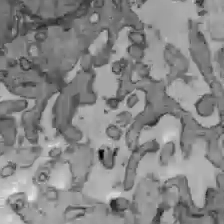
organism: C57BL Mouse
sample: Liver